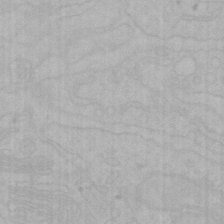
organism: Mouse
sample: Choroid plexus